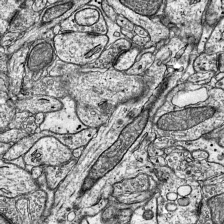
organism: Mouse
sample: Visual Cortex